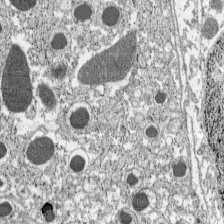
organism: C57BL Mouse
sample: Pancreatic islet